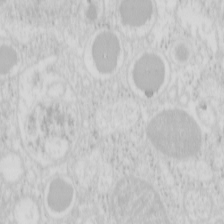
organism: Mouse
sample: Pancreas